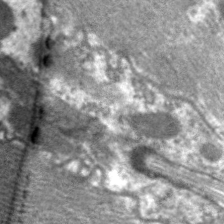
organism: C. elegans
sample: Pharynx